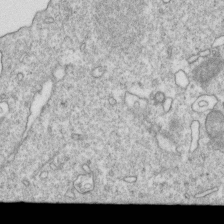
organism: Mouse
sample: Activated OT-1 CD8+ T cells